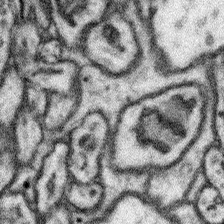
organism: Mouse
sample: Somatosensory cortex neuropil